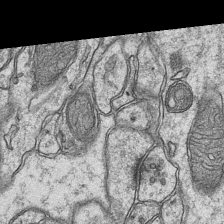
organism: Mouse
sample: CA1 Hippocampus